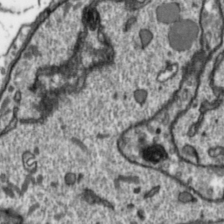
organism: Toxoplasma gondii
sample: Parasites in a vacuole inside a host cell